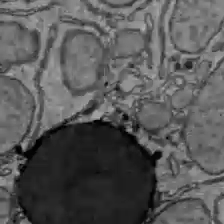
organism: C57BL Mouse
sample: Liver